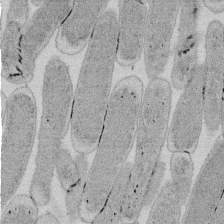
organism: E. coli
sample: Bacterial nucleoid